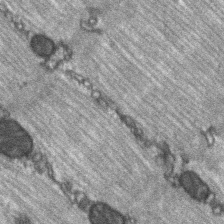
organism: C57BL Mouse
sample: Soleus